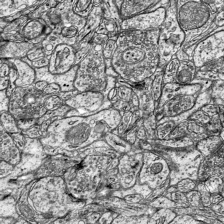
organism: Mouse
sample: Visual Cortex